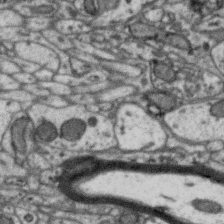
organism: Zebra finch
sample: Brain